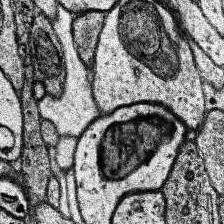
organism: Human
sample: Temporal Lobe